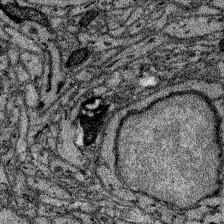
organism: Zebrafish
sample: Larval olfactory bulb